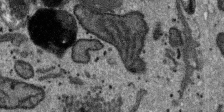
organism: Human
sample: Lung epithelial cells, uninfected (mock) control